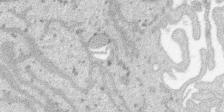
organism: Human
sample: Lung epithelial cells infected with SARS-CoV-2